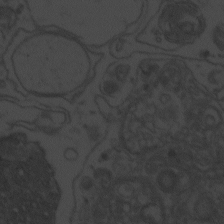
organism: Zebrafish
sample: Macrophage infected with Toxoplasma gondii